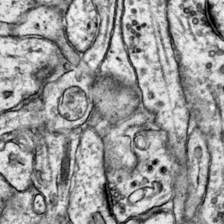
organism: Mouse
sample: Primary visual cortex